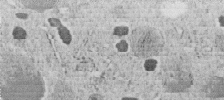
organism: C. elegans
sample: C. elegans embryo early stage